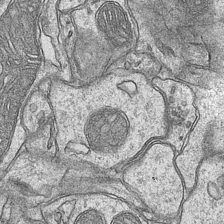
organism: Mouse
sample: CA1 Hippocampus